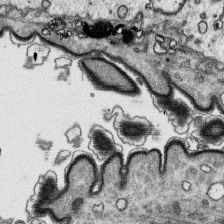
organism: Platynereis dumerilii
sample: Parapodia